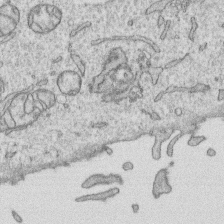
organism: Human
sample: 1205lu cells